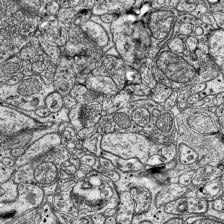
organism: Mouse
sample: Visual Cortex